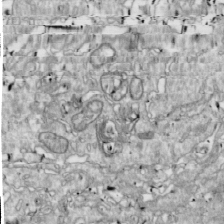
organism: Drosophila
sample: Cell division; meiosis; drosophila spermatocytes